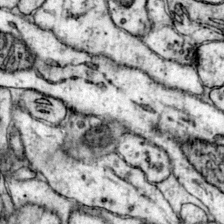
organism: Mouse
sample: Primary visual cortex